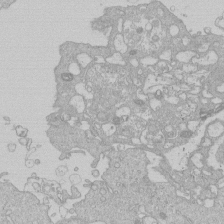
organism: Human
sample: Macrophage cells